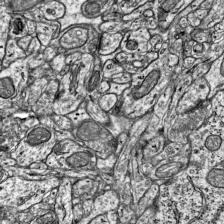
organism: Mouse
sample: Visual Cortex